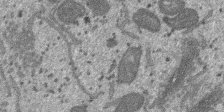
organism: Human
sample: Lung epithelial cells infected with SARS-CoV-2